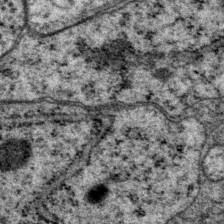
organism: P. pacificus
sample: Pharynx